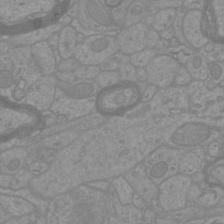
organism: Mouse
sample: Cortical neurons